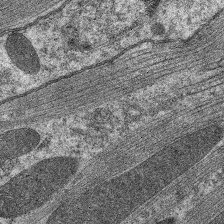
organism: C. elegans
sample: Pharynx